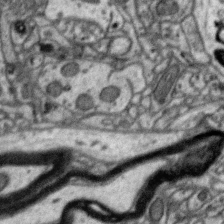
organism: Zebra finch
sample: Brain